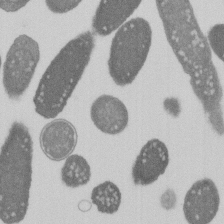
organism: E. coli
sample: Bacterial nucleoid